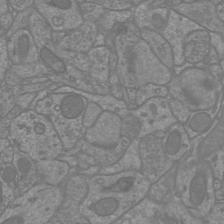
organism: Mouse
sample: Cortical neurons